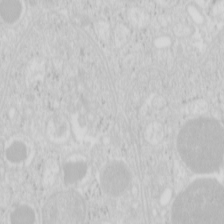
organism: Mouse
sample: Pancreas